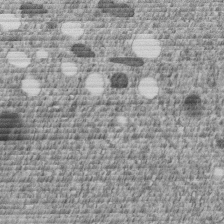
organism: C. elegans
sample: C. elegans embryo early stage